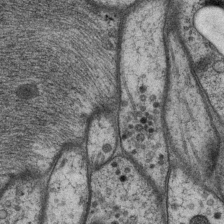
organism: P. pacificus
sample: Pharynx